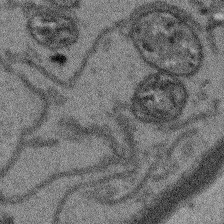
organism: Arabidopsis thaliana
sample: Root tip